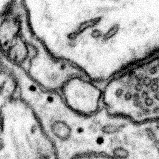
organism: Mouse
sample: Somatosensory cortex neuropil